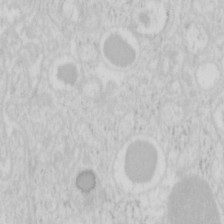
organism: Mouse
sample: Pancreas